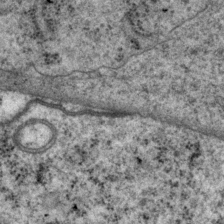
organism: P. pacificus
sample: Pharynx